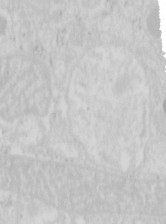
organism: Mouse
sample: Pancreas